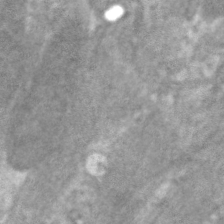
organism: C. elegans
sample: Pharynx